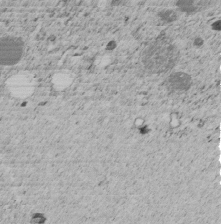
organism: C. elegans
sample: C. elegans embryo early stage